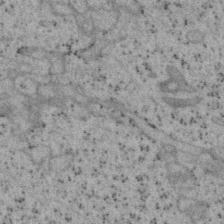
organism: Human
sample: HeLa cells